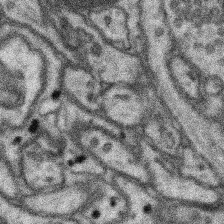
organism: Mouse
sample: Somatosensory cortex neuropil